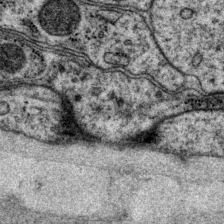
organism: P. pacificus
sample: Pharynx